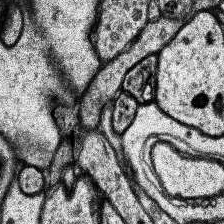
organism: Human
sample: Temporal Lobe